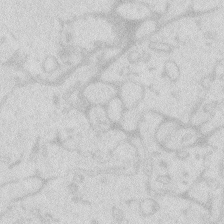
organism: Zebrafish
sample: Macrophage